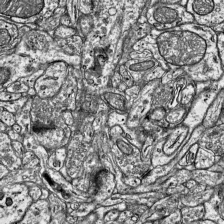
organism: Mouse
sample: Visual Cortex